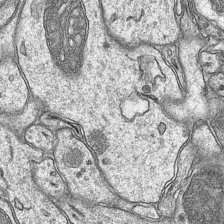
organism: Mouse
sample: CA1 Hippocampus